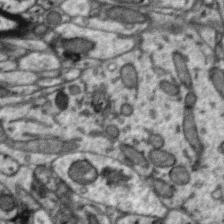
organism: Zebra finch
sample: Brain